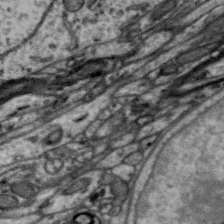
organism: Zebra finch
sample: Brain